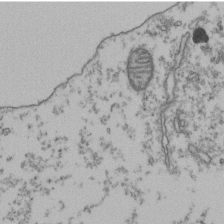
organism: Human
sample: Activated Jurkat CD4+ T cells